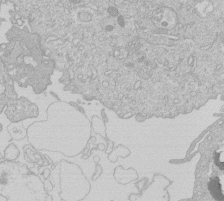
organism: Human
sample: Macrophage cells